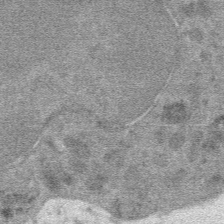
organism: Mouse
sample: Mouse hepatocytes